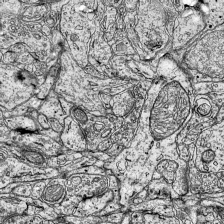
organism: Mouse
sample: Visual Cortex